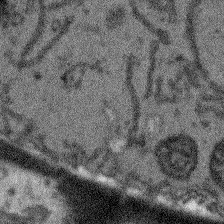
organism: Arabidopsis thaliana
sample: Root tip